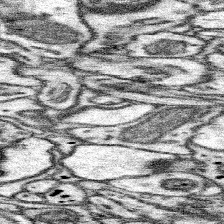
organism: Mouse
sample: Somatosensory cortex neuropil